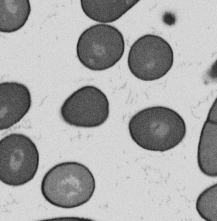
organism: B. subtilis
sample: Bacterial spore